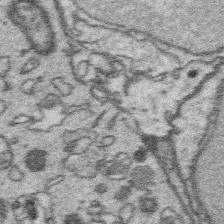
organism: Platynereis dumerilii